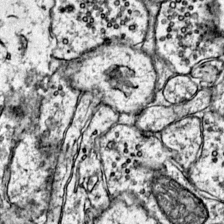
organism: Mouse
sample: Primary visual cortex